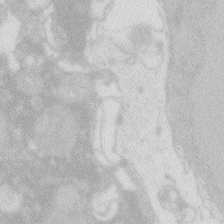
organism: Zebrafish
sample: Macrophage